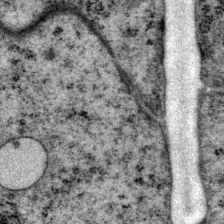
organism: P. pacificus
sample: Pharynx